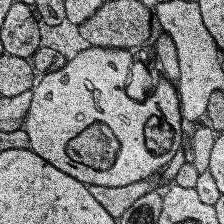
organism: Human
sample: Temporal Lobe